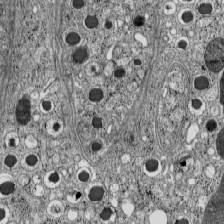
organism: C57BL Mouse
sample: Pancreatic islet